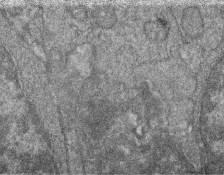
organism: Zebrafish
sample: Cilia; retinal pigment epithelium